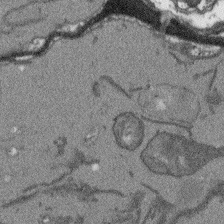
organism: Arabidopsis thaliana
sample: Root tip